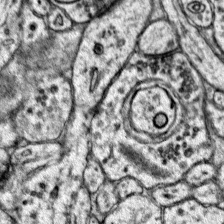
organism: Mouse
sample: Primary visual cortex